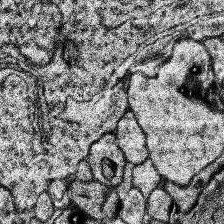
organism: Human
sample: Temporal Lobe